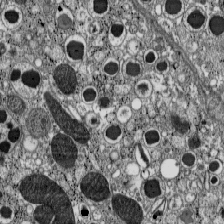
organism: C57BL Mouse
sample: Pancreatic islet